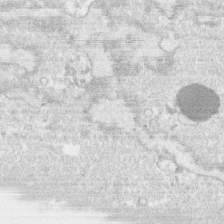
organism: Human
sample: CRL-1474